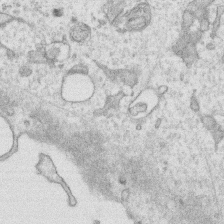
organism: Human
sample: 1205lu cells